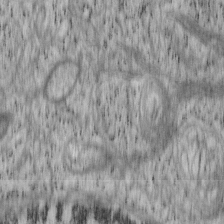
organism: Human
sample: HeLa cells